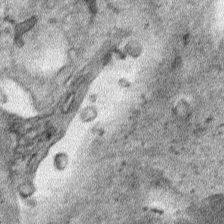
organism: Human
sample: Mitochondria in HCT116 cells